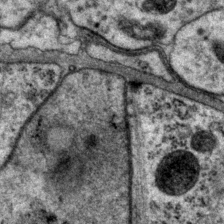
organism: P. pacificus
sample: Pharynx